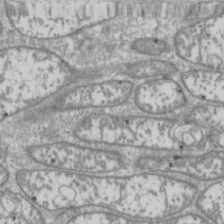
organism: Drosophila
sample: Cell division; meiosis; drosophila spermatocytes